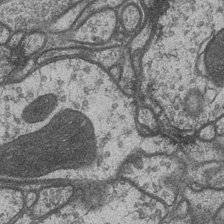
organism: Drosophila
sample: Optic medulla